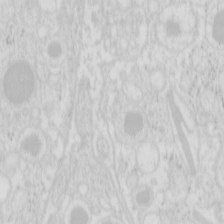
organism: Mouse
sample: Pancreas